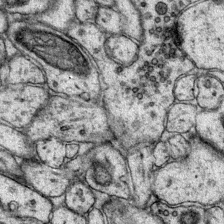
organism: Mouse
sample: Primary visual cortex